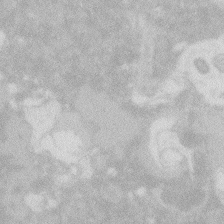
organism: Zebrafish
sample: Macrophage